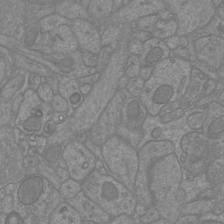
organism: Mouse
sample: Cortical neurons